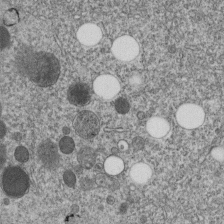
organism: C. elegans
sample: C. elegans embryo early stage